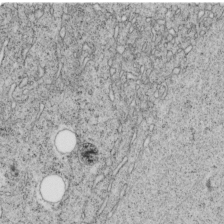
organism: C. elegans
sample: C. elegans embryo early stage